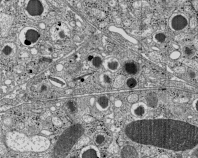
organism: C57BL Mouse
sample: Pancreatic islet